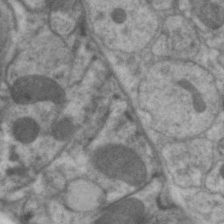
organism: C. elegans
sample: Pharynx